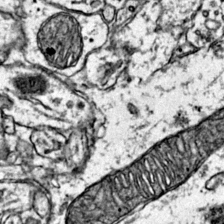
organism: Mouse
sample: Primary visual cortex